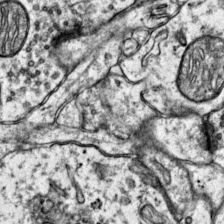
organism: Mouse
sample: Primary visual cortex